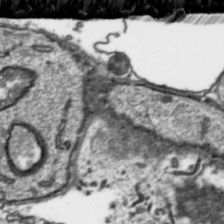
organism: Toxoplasma gondii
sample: Parasites in a vacuole inside a host cell